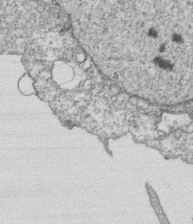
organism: Human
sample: HeLa cell HIV synapse